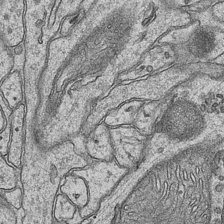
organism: Mouse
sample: CA1 Hippocampus